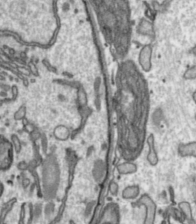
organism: Toxoplasma gondii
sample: Parasites in a vacuole inside a host cell